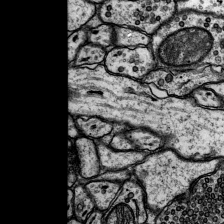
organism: Rat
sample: Hippocampus